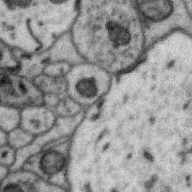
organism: Zebra finch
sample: Brain